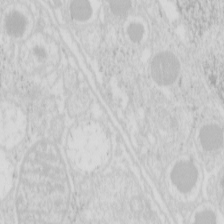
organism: Mouse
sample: Pancreas